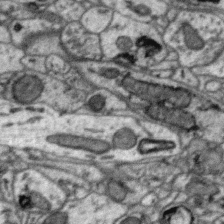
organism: Zebra finch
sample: Brain